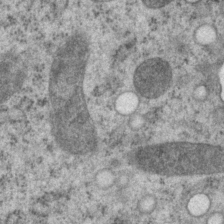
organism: P. pacificus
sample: Pharynx